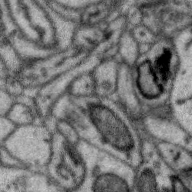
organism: Zebra finch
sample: Brain